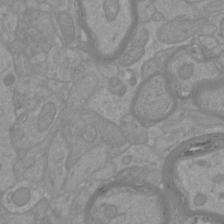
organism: Mouse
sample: Cortical neurons